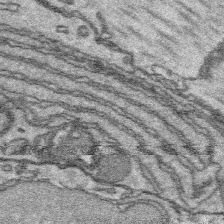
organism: Platynereis dumerilii